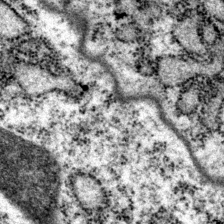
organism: P. pacificus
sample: Pharynx